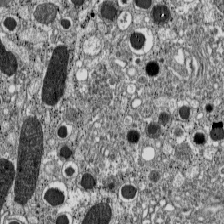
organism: C57BL Mouse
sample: Pancreatic islet